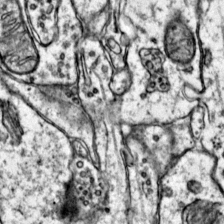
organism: Mouse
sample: Primary visual cortex